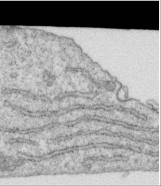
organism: Human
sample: Centriole in RPE cells